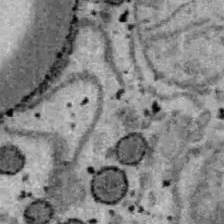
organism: Mouse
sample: Liver from an obese (ob/ob) mouse